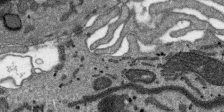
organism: Human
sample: Lung epithelial cells, uninfected (mock) control